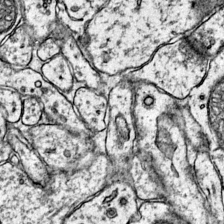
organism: Mouse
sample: Primary visual cortex